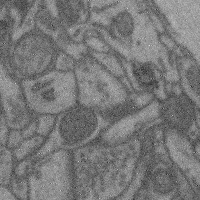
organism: Mouse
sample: Cerebral cortex